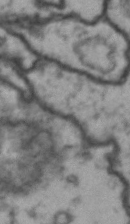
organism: Drosophila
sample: Brain